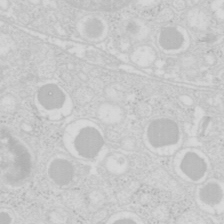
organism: Mouse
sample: Pancreas